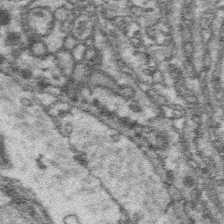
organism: Platynereis dumerilii